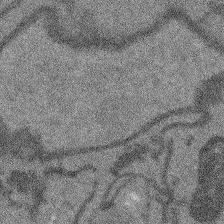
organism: Arabidopsis thaliana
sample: Root tip